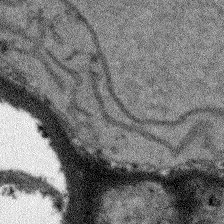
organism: Arabidopsis thaliana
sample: Root tip